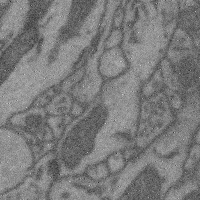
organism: Mouse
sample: Cerebral cortex